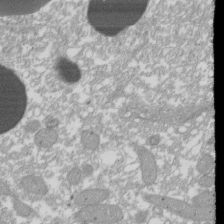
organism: Xenopus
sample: Cilia; centrioles in frog embryo cells